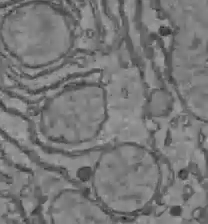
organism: C57BL Mouse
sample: Liver